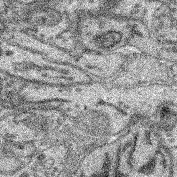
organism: Mouse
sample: Retina